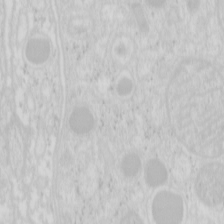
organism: Mouse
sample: Pancreas